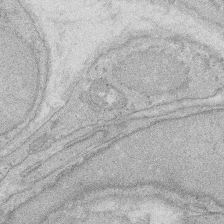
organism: Rat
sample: Salivary granule